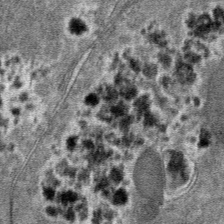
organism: Mouse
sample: Mouse hepatocytes